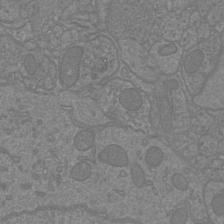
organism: Mouse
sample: Cortical neurons